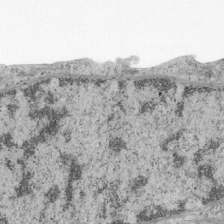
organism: Human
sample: HeLa cells